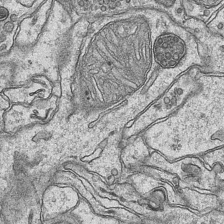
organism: Mouse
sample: CA1 Hippocampus